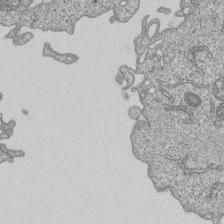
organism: Human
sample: MDA-MB-231 cells